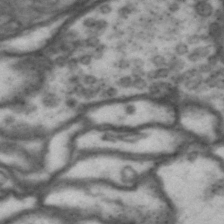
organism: Drosophila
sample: Brain